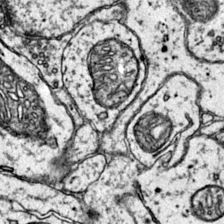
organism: Mouse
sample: Primary visual cortex